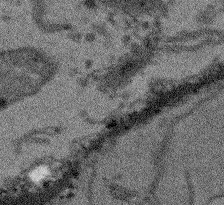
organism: Arabidopsis thaliana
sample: Root tip